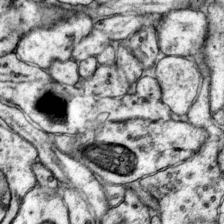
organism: Mouse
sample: Primary visual cortex